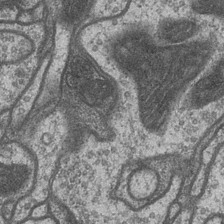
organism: Drosophila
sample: Optic medulla